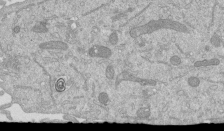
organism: Mouse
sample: ED-1 cell nuclei; centrioles